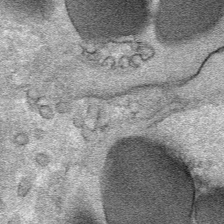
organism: Mouse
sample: Mouse Salivary gland